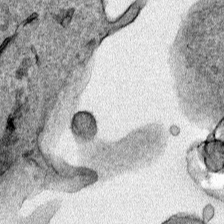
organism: Human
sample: Mitochondria in HCT116 cells